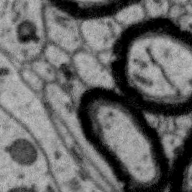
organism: Zebra finch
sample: Brain